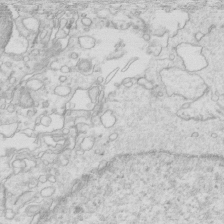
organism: Mouse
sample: Multiciliated cells